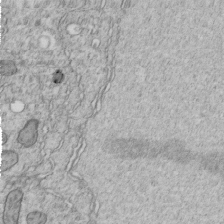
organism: C. elegans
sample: C. elegans embryo early stage